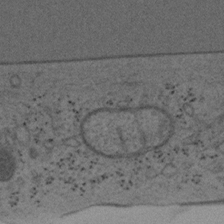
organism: Human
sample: HeLa cells